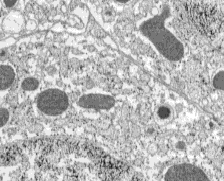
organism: C57BL Mouse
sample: Pancreatic islet